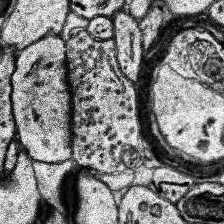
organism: Human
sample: Temporal Lobe